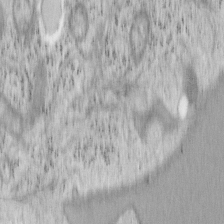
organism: Human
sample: HeLa cells